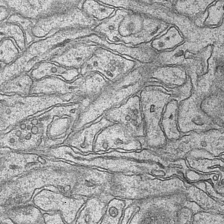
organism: Mouse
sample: CA1 Hippocampus